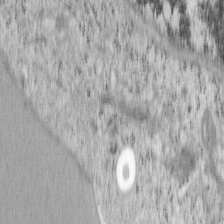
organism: Human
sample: HeLa cells